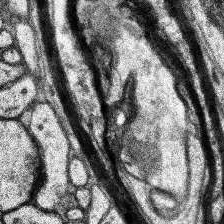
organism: Human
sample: Temporal Lobe